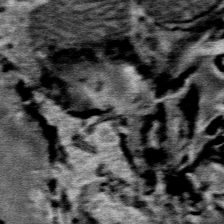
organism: Mouse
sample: Mouse Salivary gland